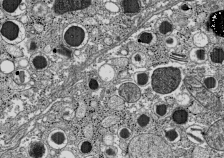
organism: C57BL Mouse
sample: Pancreatic islet